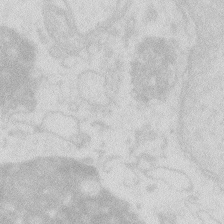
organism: Zebrafish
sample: Macrophage